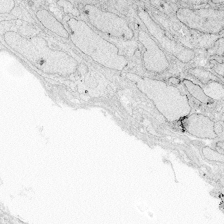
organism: Zebrafish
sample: Whole-Brain